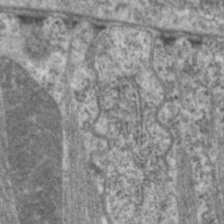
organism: C. elegans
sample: Pharynx